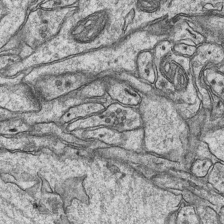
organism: Mouse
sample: CA1 Hippocampus